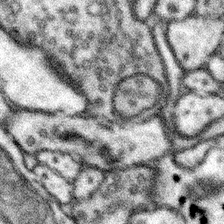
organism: Mouse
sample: Somatosensory cortex neuropil